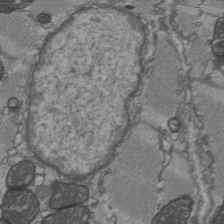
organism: C57BL Mouse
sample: Heart